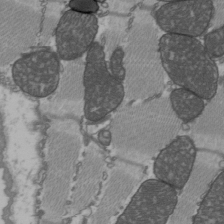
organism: C57BL Mouse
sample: Heart